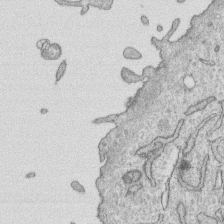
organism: Human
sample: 1205lu cells